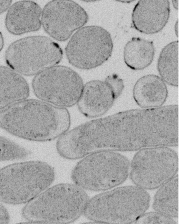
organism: E. coli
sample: Bacterial nucleoid